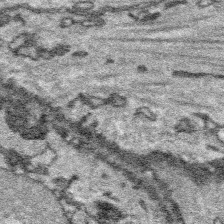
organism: Platynereis dumerilii